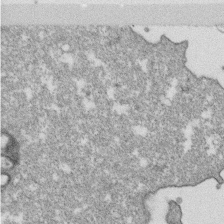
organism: African green monkey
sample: Vero E6 cells infected with SARS-CoV-2